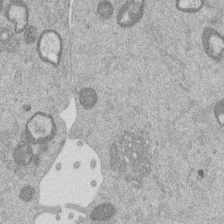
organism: Mouse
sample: Dividing mouse embryo 1 cell stage